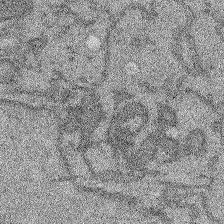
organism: Human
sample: HeLa cells